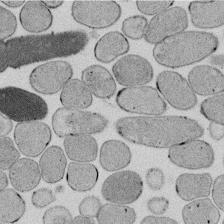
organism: E. coli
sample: Bacterial nucleoid